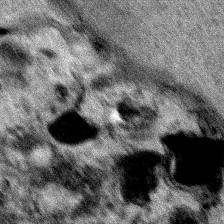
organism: Human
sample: Mitochondria in HCT116 cells